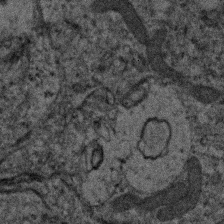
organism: Human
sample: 1205lu cells